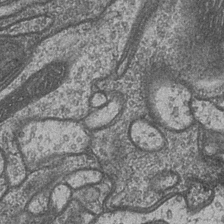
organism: Drosophila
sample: Optic medulla